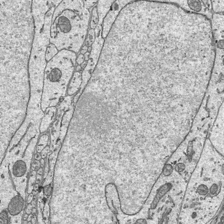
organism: Mouse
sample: Suprachiasmatic nucleus